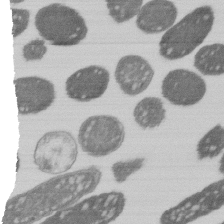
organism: E. coli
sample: Bacterial nucleoid